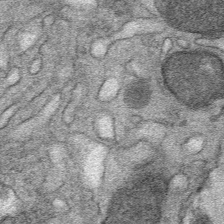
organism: Mouse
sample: Mouse Salivary gland